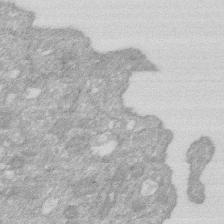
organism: Human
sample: HIV infected U937 cells